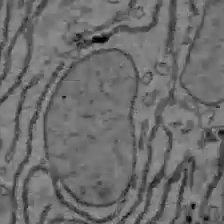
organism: C57BL Mouse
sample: Liver